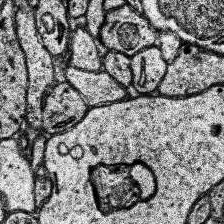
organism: Human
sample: Temporal Lobe